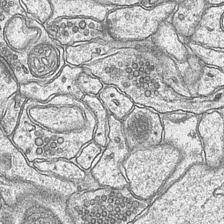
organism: Mouse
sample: CA1 Hippocampus